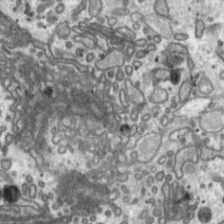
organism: Toxoplasma gondii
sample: Parasites in a vacuole inside a host cell